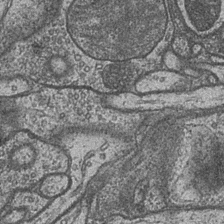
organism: Drosophila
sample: Optic medulla